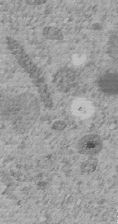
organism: C. elegans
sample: C. elegans embryo early stage